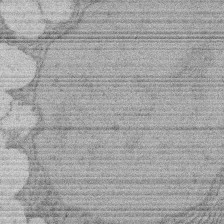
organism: Rat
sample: Salivary granule